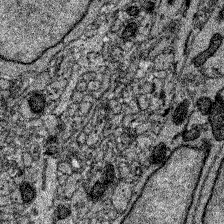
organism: Zebrafish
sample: Larval olfactory bulb